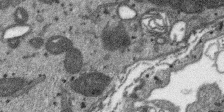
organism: Human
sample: Lung epithelial cells infected with SARS-CoV-2